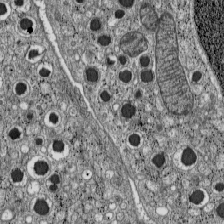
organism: C57BL Mouse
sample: Pancreatic islet